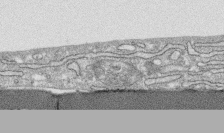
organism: Human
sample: CRL-1474